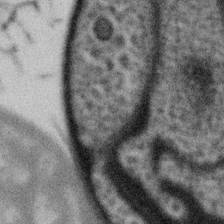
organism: Gemmata obscuriglobus